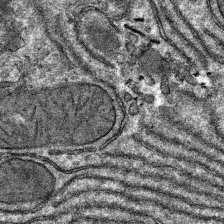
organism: Mouse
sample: Mouse hepatocytes